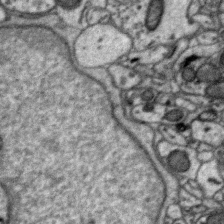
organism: Zebra finch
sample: Brain